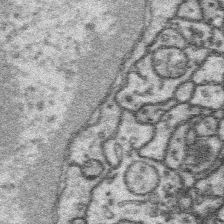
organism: Platynereis dumerilii